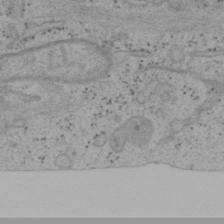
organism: Human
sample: HeLa cells